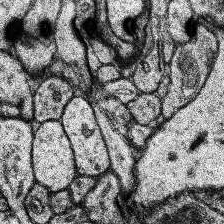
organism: Human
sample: Temporal Lobe